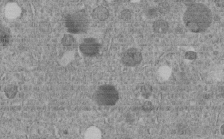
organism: C. elegans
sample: C. elegans embryo early stage